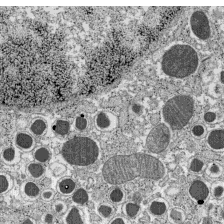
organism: C57BL Mouse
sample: Pancreatic islet